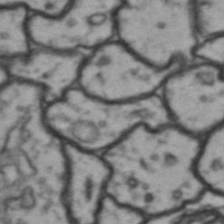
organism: Drosophila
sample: Brain